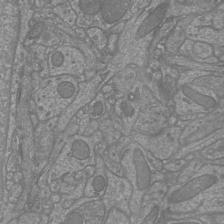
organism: Mouse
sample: Cortical neurons